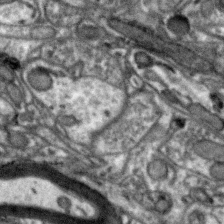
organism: Zebra finch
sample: Brain